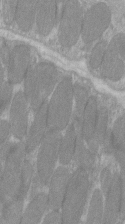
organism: C57BL Mouse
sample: Tibialis anterior muscle cell